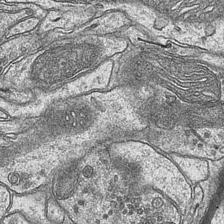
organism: Mouse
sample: CA1 Hippocampus